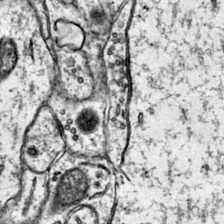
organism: Mouse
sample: Primary visual cortex